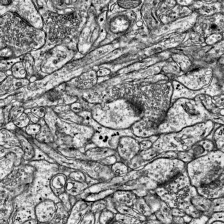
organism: Mouse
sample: Visual Cortex